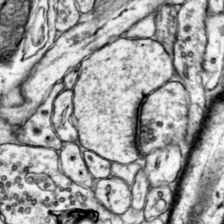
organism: Mouse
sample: Primary visual cortex